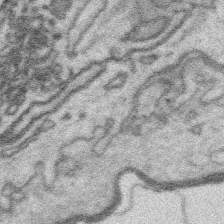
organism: Platynereis dumerilii